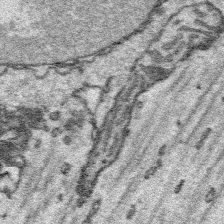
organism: Platynereis dumerilii